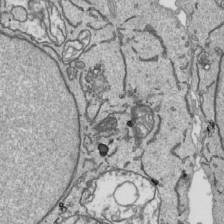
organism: Human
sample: Mitochondria in HCT116 cells